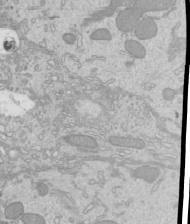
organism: Mouse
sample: Cilia; mouse epididymis